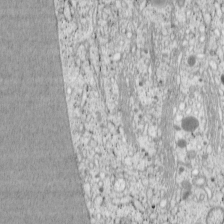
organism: African green monkey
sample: COS-7 cells